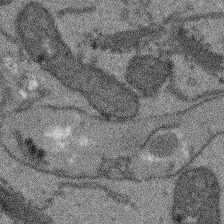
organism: Arabidopsis thaliana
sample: Root tip